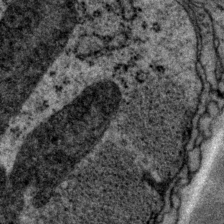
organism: P. pacificus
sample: Pharynx